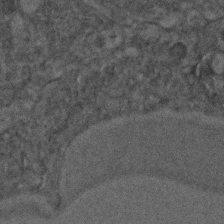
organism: C. elegans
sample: C. elegans embryo